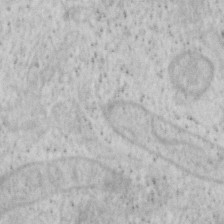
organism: Human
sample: HeLa cells